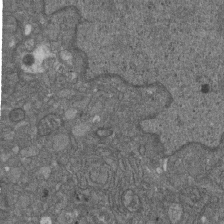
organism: Drosophila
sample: Nephrocyte